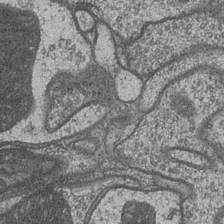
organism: Drosophila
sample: Optic medulla